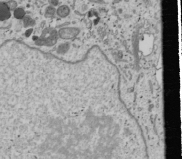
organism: Human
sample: Mitochondria in U2OS cells